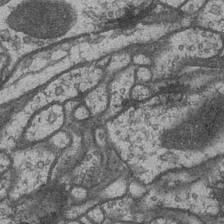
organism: Drosophila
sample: Optic medulla